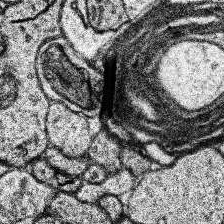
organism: Human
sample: Temporal Lobe